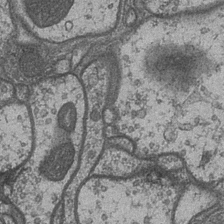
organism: Drosophila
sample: Optic medulla